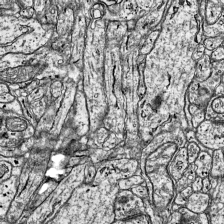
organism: Mouse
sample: Visual Cortex